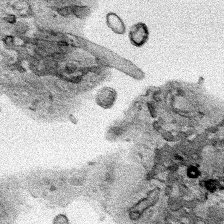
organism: Human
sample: Mitochondria in HCT116 cells